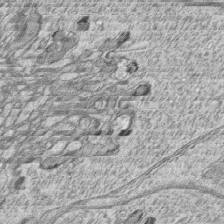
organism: Zebrafish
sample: synaptic ribbons in rod cells and cone cells